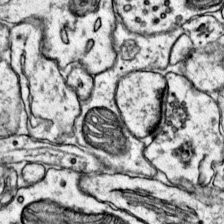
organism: Mouse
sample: Primary visual cortex